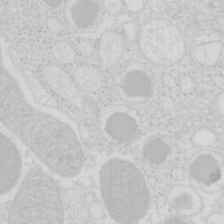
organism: Mouse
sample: Pancreas